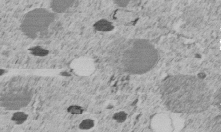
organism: C. elegans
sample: C. elegans embryo early stage